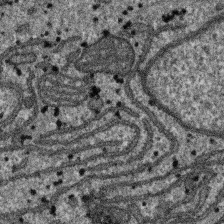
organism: Human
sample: Lung epithelial cells infected with SARS-CoV-2